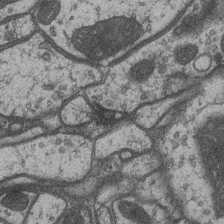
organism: Drosophila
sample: Optic medulla